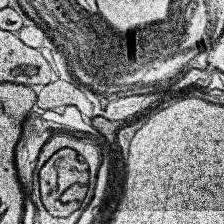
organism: Human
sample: Temporal Lobe